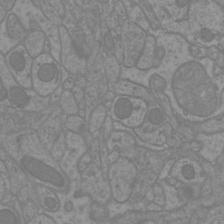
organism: Mouse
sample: Cortical neurons